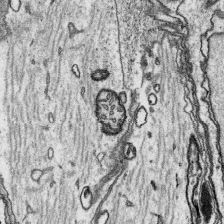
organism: Platynereis dumerilii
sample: Parapodia